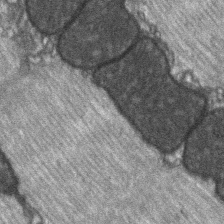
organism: C57BL Mouse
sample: Soleus